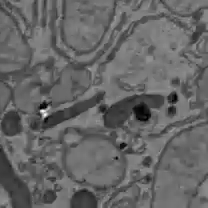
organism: C57BL Mouse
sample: Liver